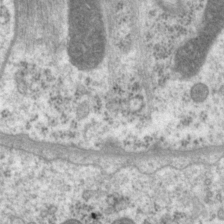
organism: P. pacificus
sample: Pharynx